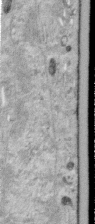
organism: Human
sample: Centriole in RPE cells